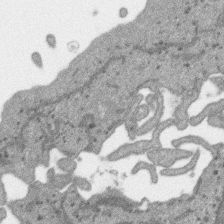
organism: Human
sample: Lung epithelial cells infected with SARS-CoV-2